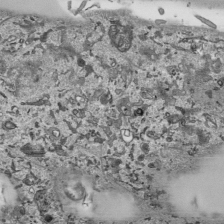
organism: Human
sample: Mitochondria in HCT116 cells